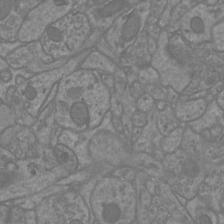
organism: Mouse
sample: Cortical neurons